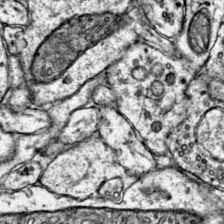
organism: Mouse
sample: Primary visual cortex